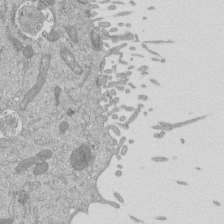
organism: Mouse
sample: ED-1 cell nuclei; centrioles